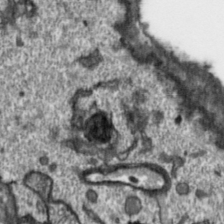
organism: Toxoplasma gondii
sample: Parasites in a vacuole inside a host cell